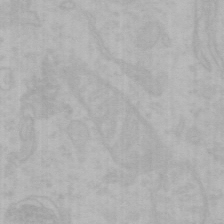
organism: Mouse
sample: Choroid plexus